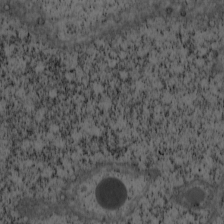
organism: African green monkey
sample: COS-7 cells